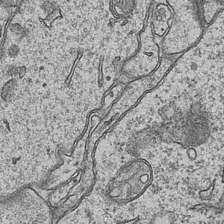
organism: Mouse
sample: CA1 Hippocampus